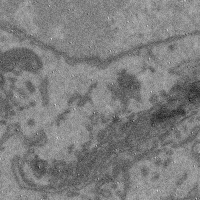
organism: Mouse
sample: Cerebral cortex